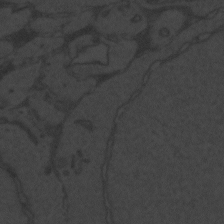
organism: Zebrafish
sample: Macrophage infected with Toxoplasma gondii